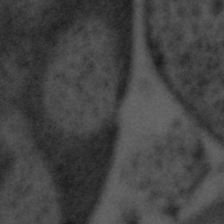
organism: Tuwongella immobilis